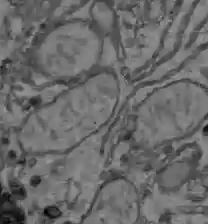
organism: C57BL Mouse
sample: Liver